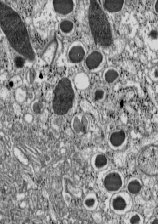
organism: C57BL Mouse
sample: Pancreatic islet